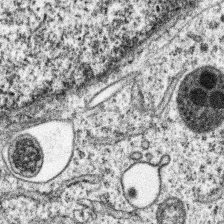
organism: Human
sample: HeLa cells